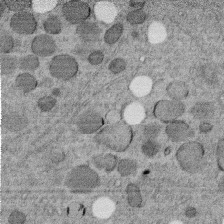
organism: C. elegans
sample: C. elegans embryo early stage